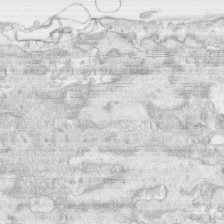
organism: Human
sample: CRL-1474